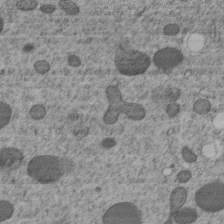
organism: C. elegans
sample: C. elegans embryo early stage